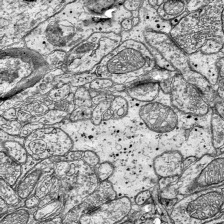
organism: Mouse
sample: Visual Cortex